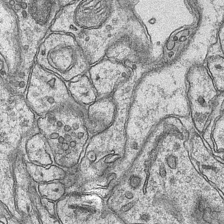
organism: Mouse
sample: CA1 Hippocampus